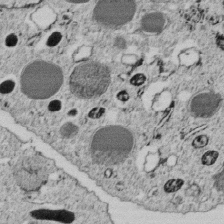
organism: C. elegans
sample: C. elegans embryo early stage